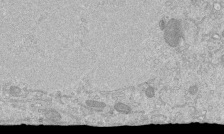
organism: Mouse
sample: ED-1 cell nuclei; centrioles